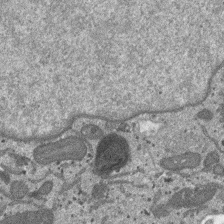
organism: Human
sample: Lung epithelial cells infected with SARS-CoV-2